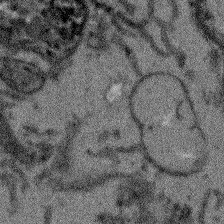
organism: Arabidopsis thaliana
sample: Root tip